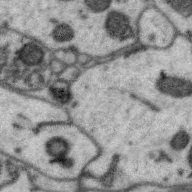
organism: Zebra finch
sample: Brain